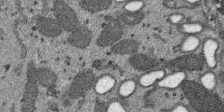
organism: Human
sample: Lung epithelial cells infected with SARS-CoV-2